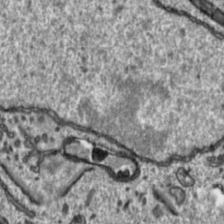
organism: Toxoplasma gondii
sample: Parasites in a vacuole inside a host cell